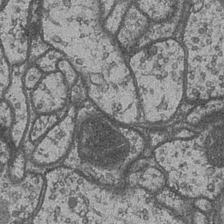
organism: Drosophila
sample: Optic medulla